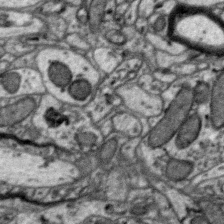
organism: Zebra finch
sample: Brain